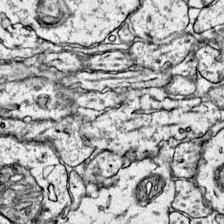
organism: Mouse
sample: Primary visual cortex